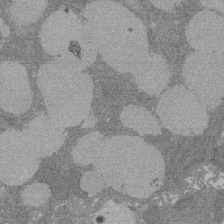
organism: Rat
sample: Salivary granule